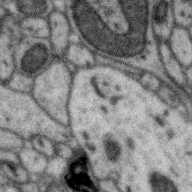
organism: Zebra finch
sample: Brain